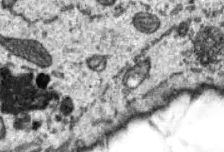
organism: Human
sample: HeLa cells